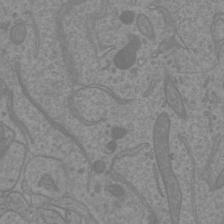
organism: Mouse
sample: Cortical neurons